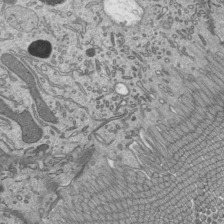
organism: Mouse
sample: Mouse epididymis efferent ductule cilia